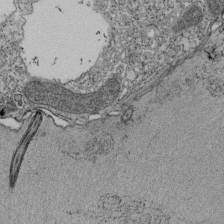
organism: Tetrahymena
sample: Cilia in tetrahymena